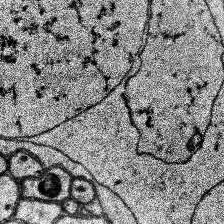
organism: Human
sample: Temporal Lobe